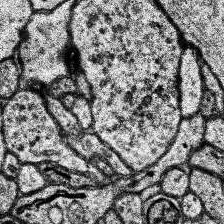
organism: Human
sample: Temporal Lobe